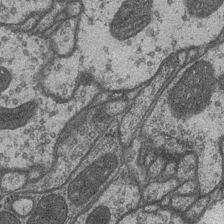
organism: Drosophila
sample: Optic medulla